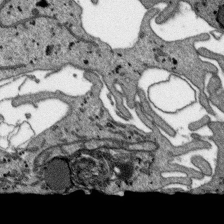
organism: Human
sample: Lung epithelial cells, uninfected (mock) control